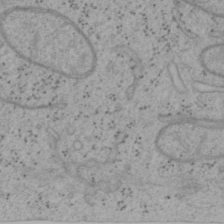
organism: Human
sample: HeLa cells